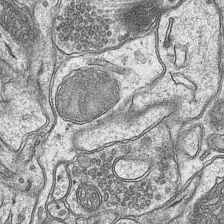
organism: Mouse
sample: CA1 Hippocampus